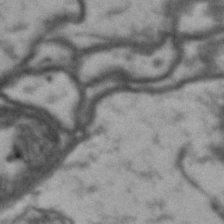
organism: Drosophila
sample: Brain